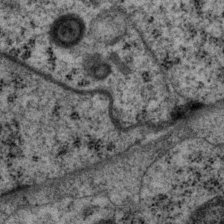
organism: P. pacificus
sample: Pharynx